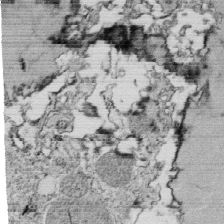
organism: Tetrahymena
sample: Cilia in tetrahymena